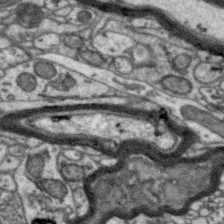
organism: Zebra finch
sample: Brain